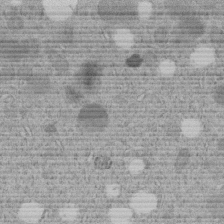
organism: C. elegans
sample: C. elegans embryo early stage